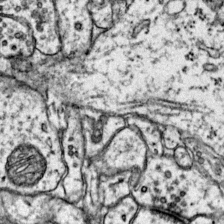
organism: Mouse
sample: Primary visual cortex